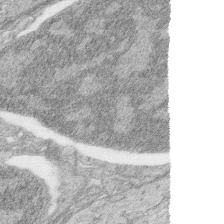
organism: Zebrafish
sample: synaptic ribbons in rod cells and cone cells